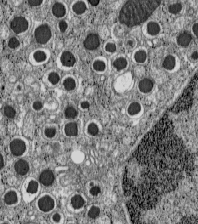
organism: C57BL Mouse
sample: Pancreatic islet